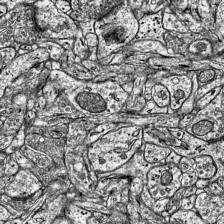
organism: Mouse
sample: Visual Cortex